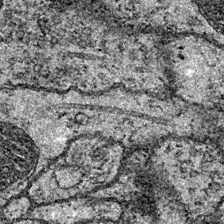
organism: Drosophila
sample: Ventral Nerve Cord